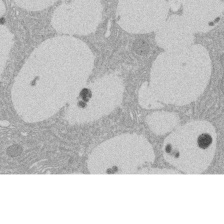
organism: Rat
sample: Salivary granule